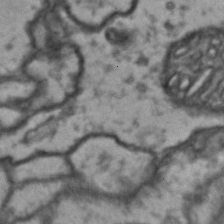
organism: Drosophila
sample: Brain